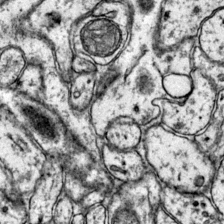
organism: Mouse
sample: Primary visual cortex